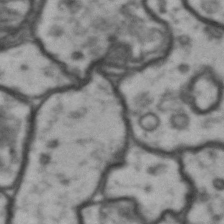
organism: Drosophila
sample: Brain